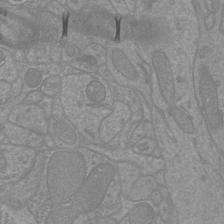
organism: Mouse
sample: Cortical neurons